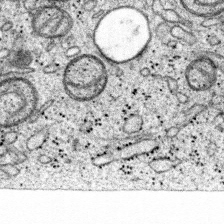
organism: Human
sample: HeLa cells